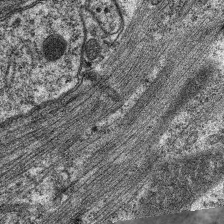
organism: C. elegans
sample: Pharynx